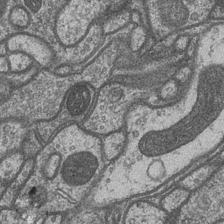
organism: Drosophila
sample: Optic medulla